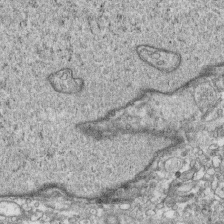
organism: Human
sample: CRL-1474